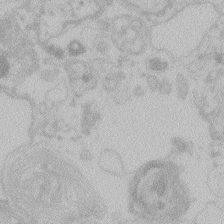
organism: Zebrafish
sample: Macrophage infected with Toxoplasma gondii